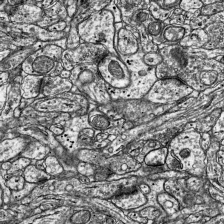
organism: Mouse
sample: Visual Cortex